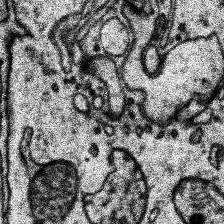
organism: Human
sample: Temporal Lobe